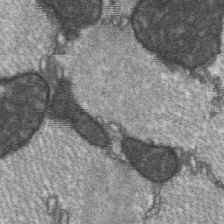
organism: C57BL Mouse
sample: Soleus